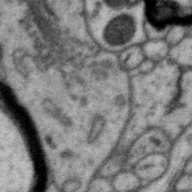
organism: Zebra finch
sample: Brain